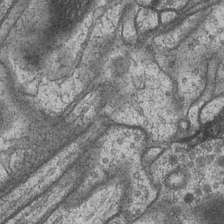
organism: Drosophila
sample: Optic medulla